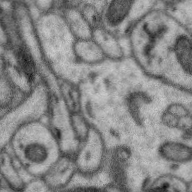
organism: Zebra finch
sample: Brain